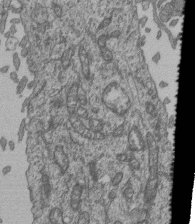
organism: Human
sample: Retinal organoid Rod and Cone cells